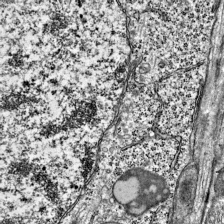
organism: Mouse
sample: Visual Cortex